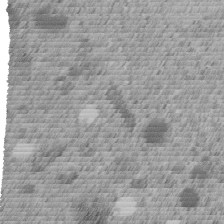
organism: C. elegans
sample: C. elegans embryo early stage